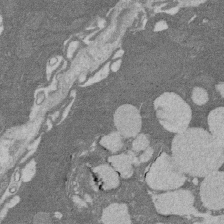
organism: Rat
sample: Salivary granule